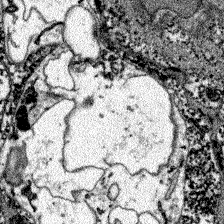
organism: Zebrafish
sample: Larval olfactory bulb